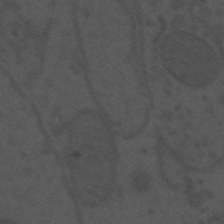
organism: Mouse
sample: Suprachiasmatic nucleus